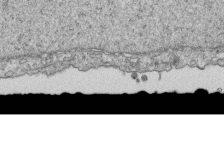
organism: Human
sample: HeLa cell HIV synapse